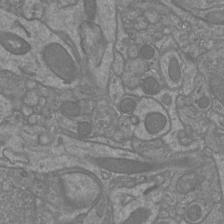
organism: Mouse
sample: Cortical neurons